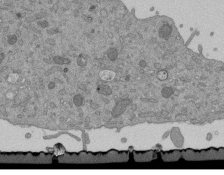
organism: Mouse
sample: ED-1 cell nuclei; centrioles